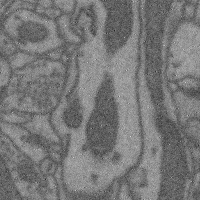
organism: Mouse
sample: Cerebral cortex